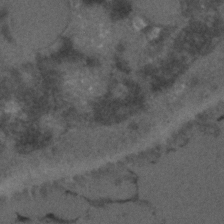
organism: C. elegans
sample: C. elegans embryo